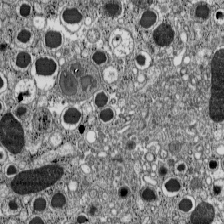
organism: C57BL Mouse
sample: Pancreatic islet